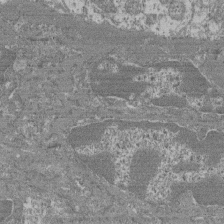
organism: Mouse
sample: Glomerulus